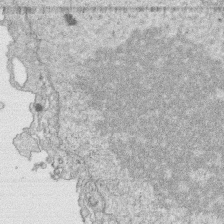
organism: Human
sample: HeLa cell HIV synapse